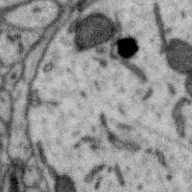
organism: Zebra finch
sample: Brain